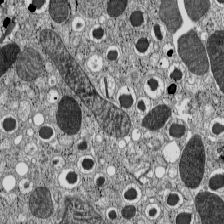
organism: C57BL Mouse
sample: Pancreatic islet